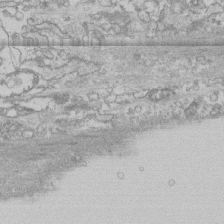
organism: Human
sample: CRL-1474